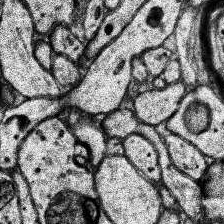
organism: Human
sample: Temporal Lobe